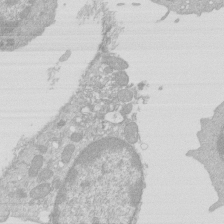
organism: Mouse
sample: Activated Pmel transgenic CD8+ T Cells